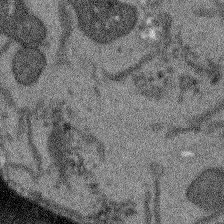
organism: Arabidopsis thaliana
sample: Root tip